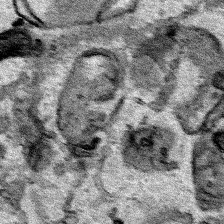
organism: Human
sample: Mitochondria in HCT116 cells